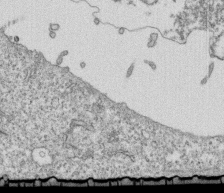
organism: Human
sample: HeLa cell HIV synapse